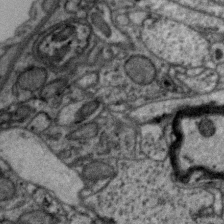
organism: Zebra finch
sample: Brain